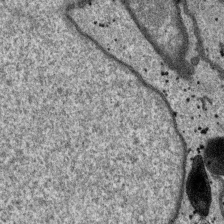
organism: Human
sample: Lung epithelial cells, uninfected (mock) control